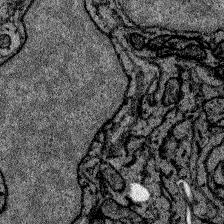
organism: Zebrafish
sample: Larval olfactory bulb